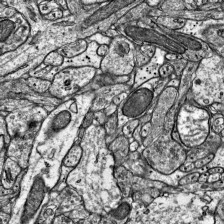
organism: Mouse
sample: Visual Cortex